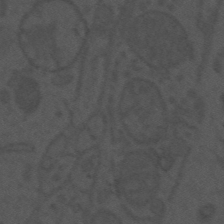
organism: Mouse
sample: Suprachiasmatic nucleus